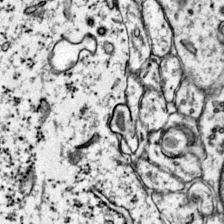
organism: Mouse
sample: Primary visual cortex